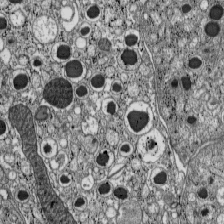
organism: C57BL Mouse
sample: Pancreatic islet